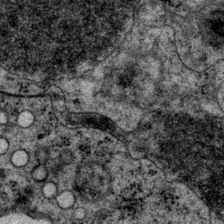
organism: P. pacificus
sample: Pharynx